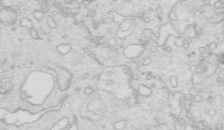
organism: Mouse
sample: Multiciliated cells